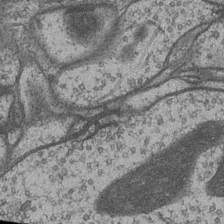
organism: Drosophila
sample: Optic medulla